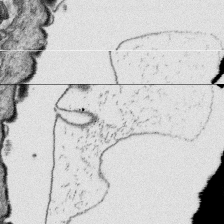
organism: Platynereis dumerilii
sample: Parapodia